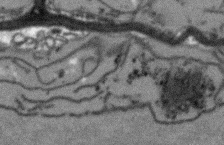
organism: Arabidopsis thaliana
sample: Root tip